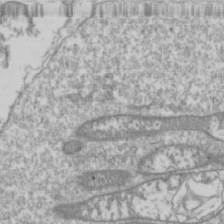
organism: Drosophila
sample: Cell division; meiosis; drosophila spermatocytes